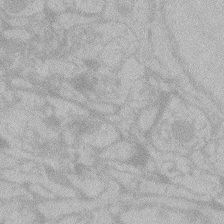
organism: Zebrafish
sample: Macrophage infected with Toxoplasma gondii